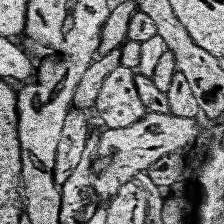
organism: Human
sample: Temporal Lobe